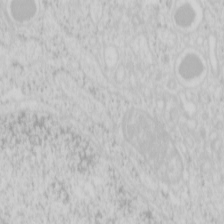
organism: Mouse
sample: Pancreas